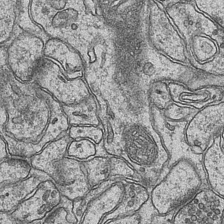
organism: Mouse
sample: CA1 Hippocampus